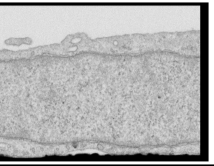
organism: Human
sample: Centriole in RPE cells